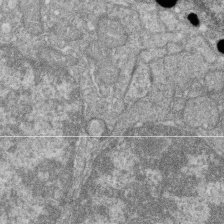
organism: Zebrafish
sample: Cilia; retinal pigment epithelium